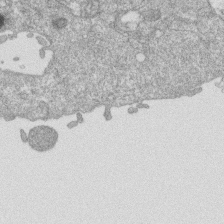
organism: Human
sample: HeLa cell HIV synapse